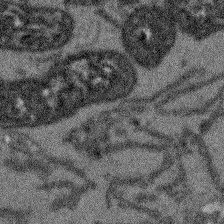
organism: Arabidopsis thaliana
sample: Root tip